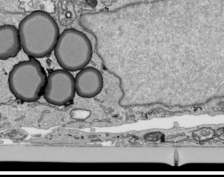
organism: Human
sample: Mitochondria in HCT116 cells